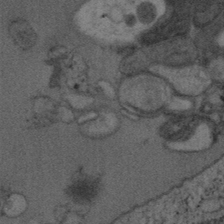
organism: Human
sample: HeLa cells